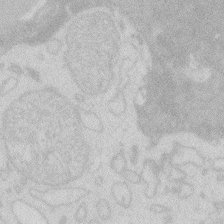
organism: Zebrafish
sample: Macrophage